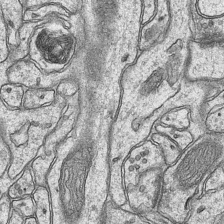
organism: Mouse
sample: CA1 Hippocampus